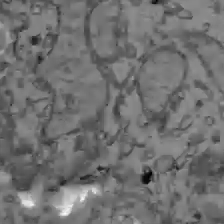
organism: C57BL Mouse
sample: Liver